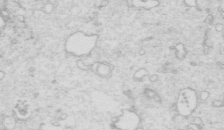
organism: Mouse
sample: Multiciliated cells